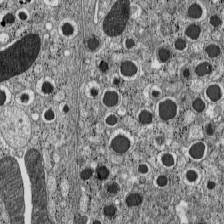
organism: C57BL Mouse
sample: Pancreatic islet